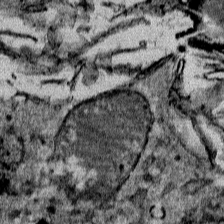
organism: Mouse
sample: Mouse Salivary gland